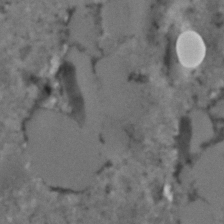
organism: C. elegans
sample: C. elegans embryo